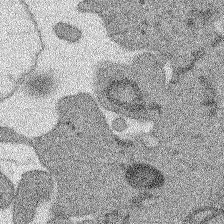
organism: Human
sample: HeLa cells